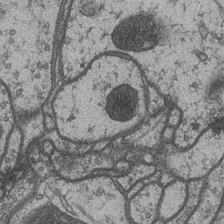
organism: Drosophila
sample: Optic medulla